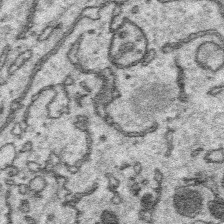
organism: Platynereis dumerilii